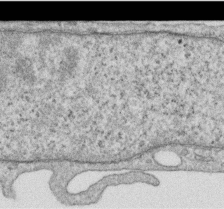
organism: Human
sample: Centriole in RPE cells